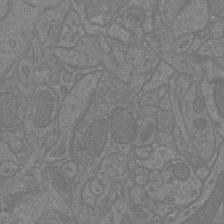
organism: Mouse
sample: Cortical neurons